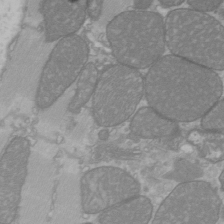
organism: C57BL Mouse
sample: Heart